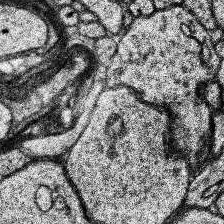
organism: Human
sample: Temporal Lobe